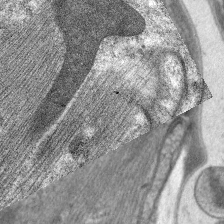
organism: C. elegans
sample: Pharynx